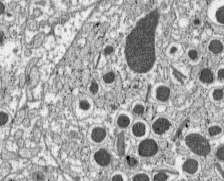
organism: C57BL Mouse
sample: Pancreatic islet